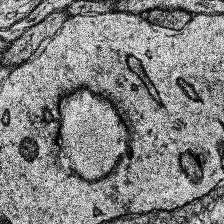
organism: Human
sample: Temporal Lobe